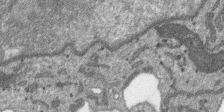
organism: Human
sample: Lung epithelial cells infected with SARS-CoV-2